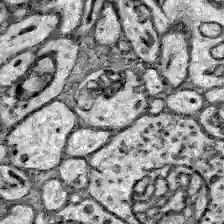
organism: Zebrafish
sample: Brain